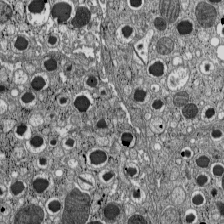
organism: C57BL Mouse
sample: Pancreatic islet